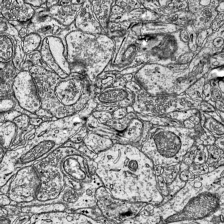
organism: Mouse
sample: Visual Cortex